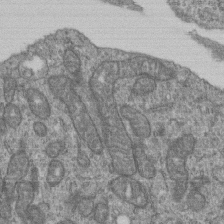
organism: Human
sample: Retinal organoid Rod and Cone cells